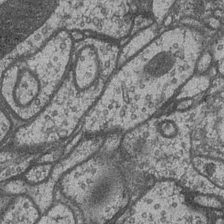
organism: Drosophila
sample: Optic medulla